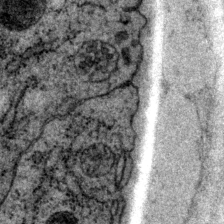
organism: P. pacificus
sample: Pharynx